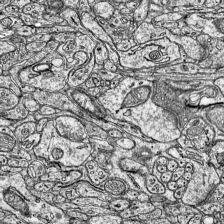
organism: Mouse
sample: Visual Cortex